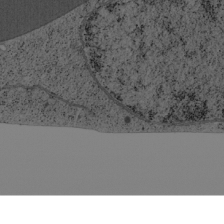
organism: African green monkey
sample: COS-7 cells